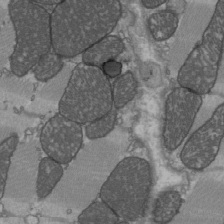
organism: C57BL Mouse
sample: Heart